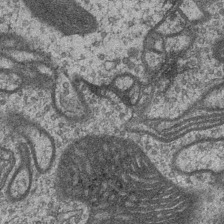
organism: Drosophila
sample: Optic medulla